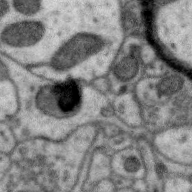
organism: Zebra finch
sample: Brain